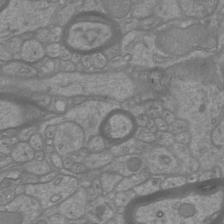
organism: Mouse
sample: Cortical neurons